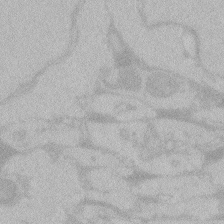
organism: Zebrafish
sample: Macrophage infected with Toxoplasma gondii